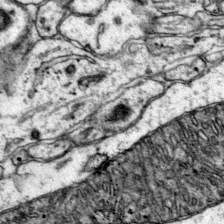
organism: Mouse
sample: Primary visual cortex